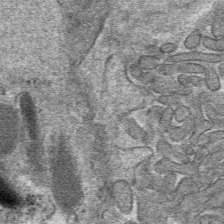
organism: Mouse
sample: Mouse hepatocytes